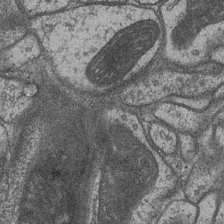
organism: Drosophila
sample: Optic medulla